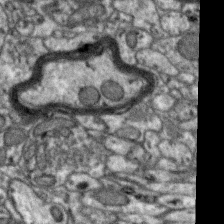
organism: Zebra finch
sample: Brain